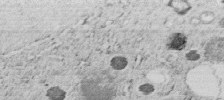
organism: C. elegans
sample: C. elegans embryo early stage